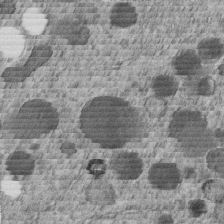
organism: C. elegans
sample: C. elegans embryo early stage